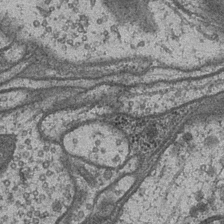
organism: Drosophila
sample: Optic medulla